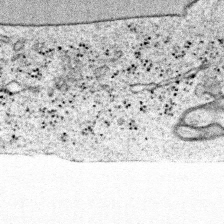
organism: Human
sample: HeLa cells